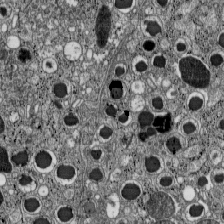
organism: C57BL Mouse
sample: Pancreatic islet